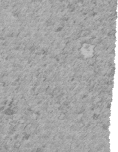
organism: C. elegans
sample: C. elegans embryo early stage